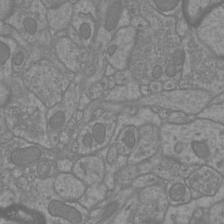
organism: Mouse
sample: Cortical neurons